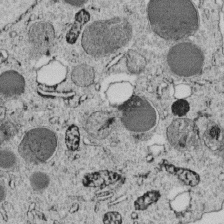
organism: C. elegans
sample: C. elegans embryo early stage